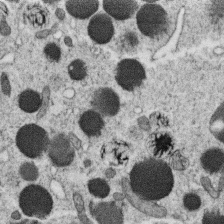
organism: C. elegans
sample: C. elegans oocyte; sperm cells